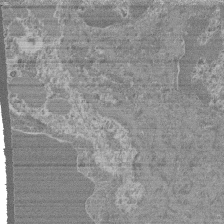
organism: Mouse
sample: Glomerulus